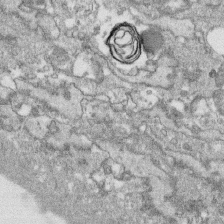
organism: Human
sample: CRL-1474